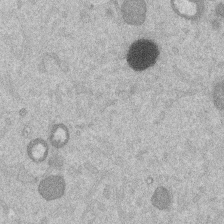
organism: Mouse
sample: Dividing mouse embryo 1 cell stage